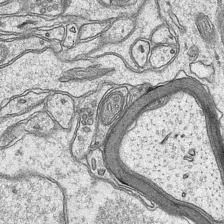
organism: Mouse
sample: CA1 Hippocampus